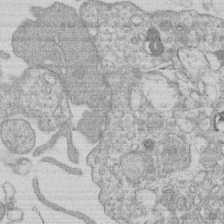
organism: Human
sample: Macrophage cells